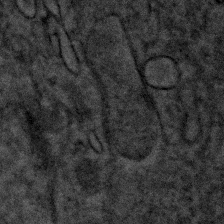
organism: Human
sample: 1205lu cells